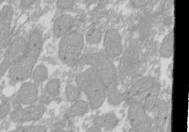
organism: Xenopus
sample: Cilia; centrioles in frog embryo cells